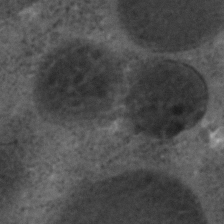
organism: C. elegans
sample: C. elegans embryo